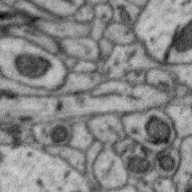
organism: Zebra finch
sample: Brain